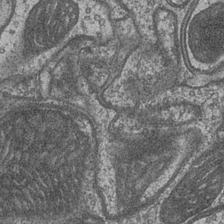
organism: Drosophila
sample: Optic medulla